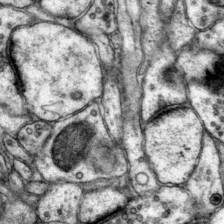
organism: Mouse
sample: Primary visual cortex